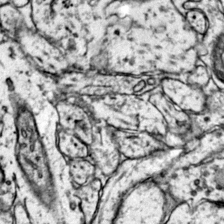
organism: Mouse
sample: Primary visual cortex